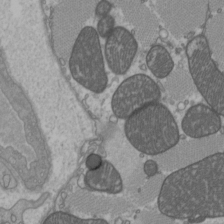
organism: C57BL Mouse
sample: Heart